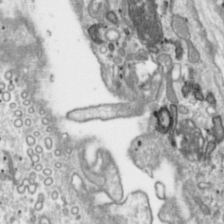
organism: Toxoplasma gondii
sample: Parasites in a vacuole inside a host cell